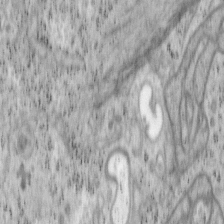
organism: Human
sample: HeLa cells